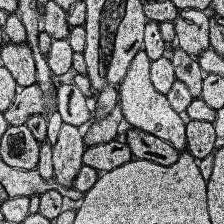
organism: Human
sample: Temporal Lobe